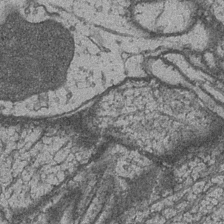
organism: Drosophila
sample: Optic medulla